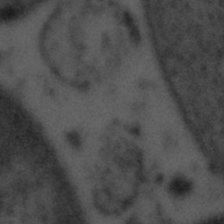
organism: Tuwongella immobilis